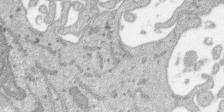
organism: Human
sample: Lung epithelial cells infected with SARS-CoV-2